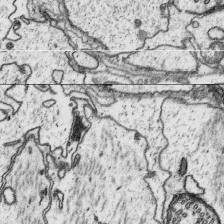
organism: Platynereis dumerilii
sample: Parapodia